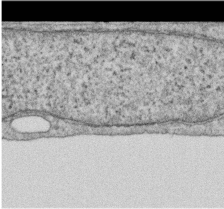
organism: Human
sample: Centriole in RPE cells